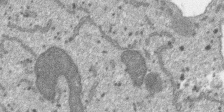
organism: Human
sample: Lung epithelial cells infected with SARS-CoV-2